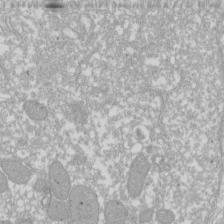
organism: Xenopus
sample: Cilia; centrioles in frog embryo cells